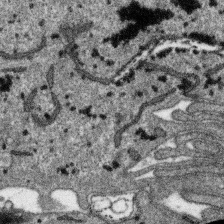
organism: Human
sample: Lung epithelial cells infected with SARS-CoV-2